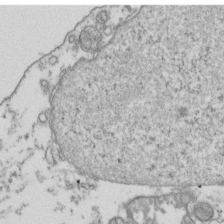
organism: Human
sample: Activated Jurkat CD4+ T cells